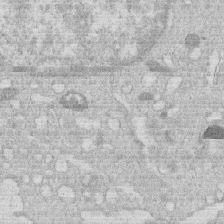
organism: Human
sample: Macrophage cells